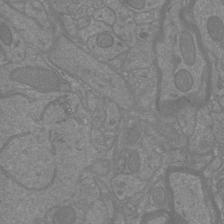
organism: Mouse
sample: Cortical neurons